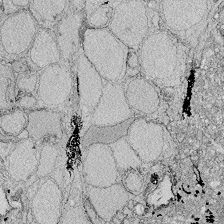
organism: Zebrafish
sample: Whole-Brain